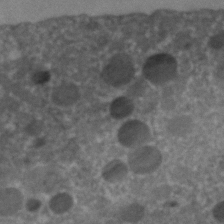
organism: C. elegans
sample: C. elegans embryo